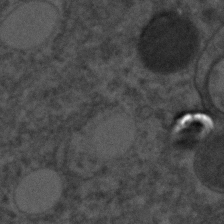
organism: C. elegans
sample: C. elegans embryo